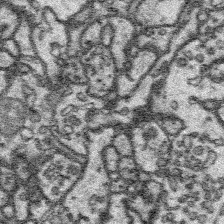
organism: Platynereis dumerilii